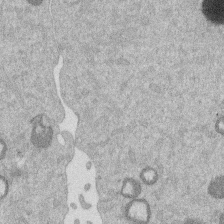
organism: Mouse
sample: Dividing mouse embryo 1 cell stage